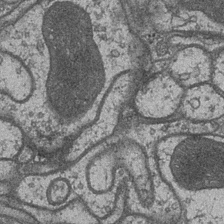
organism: Drosophila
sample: Optic medulla